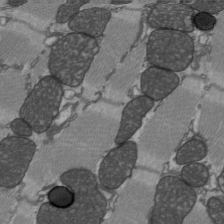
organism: C57BL Mouse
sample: Heart